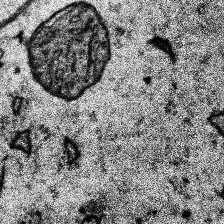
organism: Human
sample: Temporal Lobe